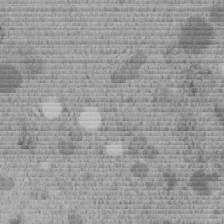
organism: C. elegans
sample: C. elegans embryo early stage